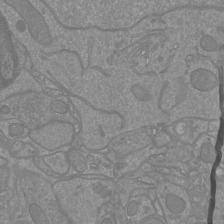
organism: Mouse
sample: Cortical neurons